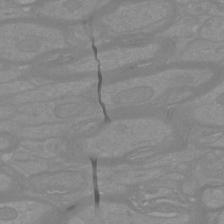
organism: Mouse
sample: Cortical neurons